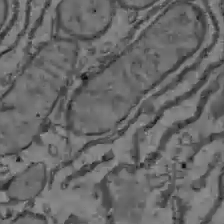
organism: C57BL Mouse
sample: Liver